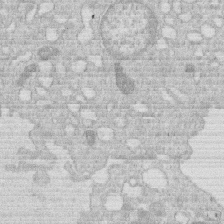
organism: Human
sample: Macrophage cells